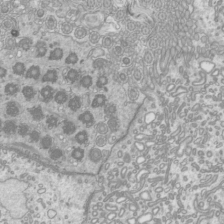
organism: Mouse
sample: Cilia; mouse epididymis